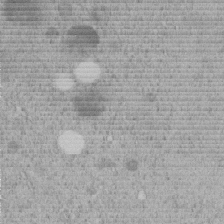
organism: C. elegans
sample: C. elegans embryo early stage